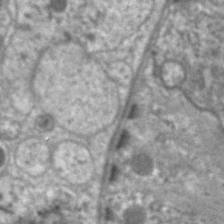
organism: C. elegans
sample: Pharynx